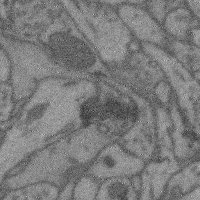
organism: Mouse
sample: Cerebral cortex